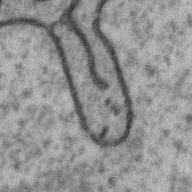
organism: Zebra finch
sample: Brain